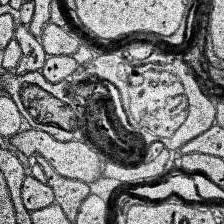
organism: Human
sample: Temporal Lobe